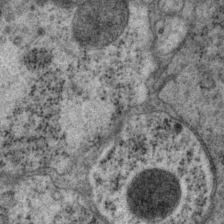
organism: P. pacificus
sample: Pharynx